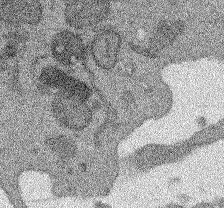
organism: Human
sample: HeLa cells